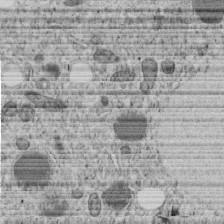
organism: C. elegans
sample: C. elegans embryo early stage